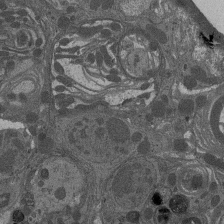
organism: Drosophila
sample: Antenna